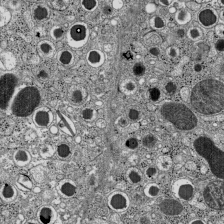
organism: C57BL Mouse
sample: Pancreatic islet